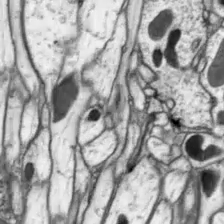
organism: Drosophila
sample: Optic lobe